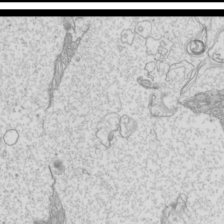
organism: Mouse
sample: Cilia; mouse epididymis